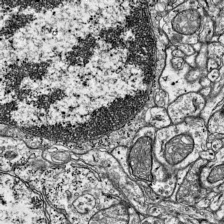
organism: Mouse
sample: Visual Cortex